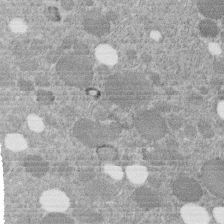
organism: C. elegans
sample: C. elegans embryo early stage